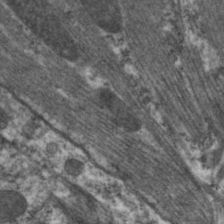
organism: C. elegans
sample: Pharynx